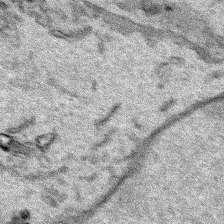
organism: Human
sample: Mitochondria in HCT116 cells